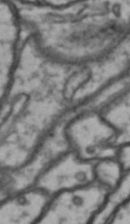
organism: Drosophila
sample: Brain